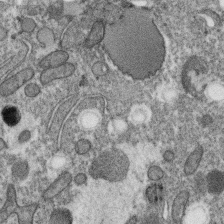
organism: C. elegans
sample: C. elegans oocyte; sperm cells